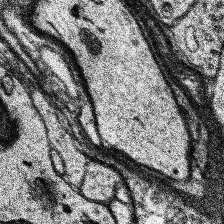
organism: Human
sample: Temporal Lobe